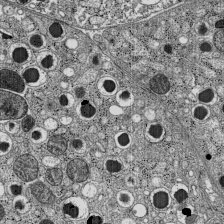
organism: C57BL Mouse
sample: Pancreatic islet